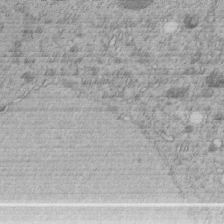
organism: C. elegans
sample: C. elegans embryo early stage